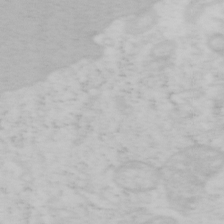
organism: Mouse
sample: OT-I killer T cells with ID8 ovarian cancer cells